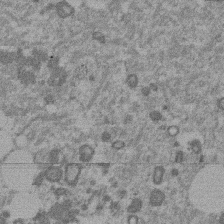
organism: Mouse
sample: Dividing mouse embryo 1 cell stage